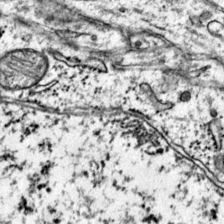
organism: Mouse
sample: Primary visual cortex